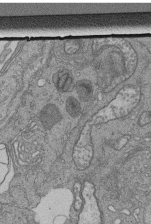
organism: Human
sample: Retinal organoid Rod and Cone cells